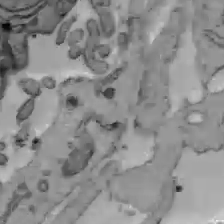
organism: C57BL Mouse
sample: Liver